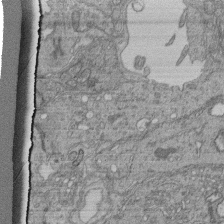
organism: Human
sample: Retinal organoid Rod and Cone cells